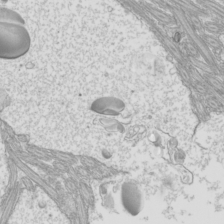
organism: Mouse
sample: Cilia; mouse epididymis